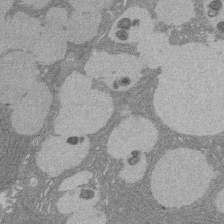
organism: Rat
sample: Salivary granule